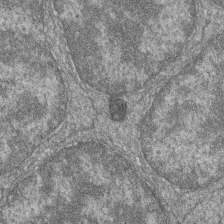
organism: Zebrafish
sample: Cilia; retinal pigment epithelium